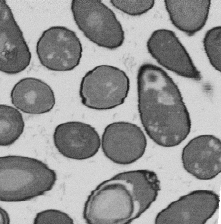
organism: B. subtilis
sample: Bacterial spore